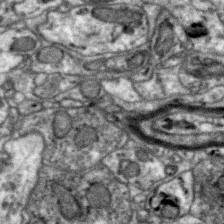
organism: Zebra finch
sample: Brain